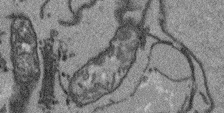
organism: Arabidopsis thaliana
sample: Root tip